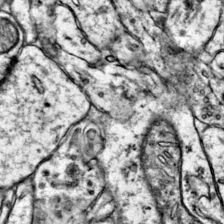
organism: Mouse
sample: Primary visual cortex